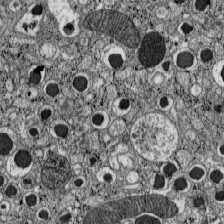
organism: C57BL Mouse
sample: Pancreatic islet